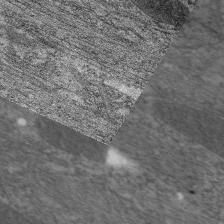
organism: C. elegans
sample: Pharynx